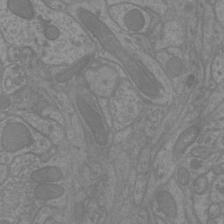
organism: Mouse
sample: Cortical neurons